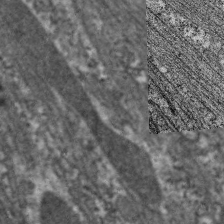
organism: C. elegans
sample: Pharynx